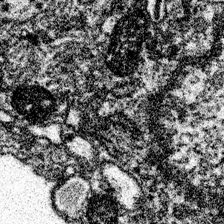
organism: Spongilla lacustris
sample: Neuroid cell